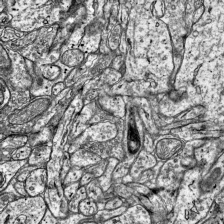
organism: Mouse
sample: Visual Cortex